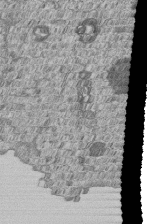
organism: Human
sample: MDA-MB-231 cells